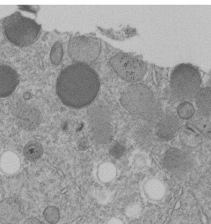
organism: C. elegans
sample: C. elegans embryo early stage